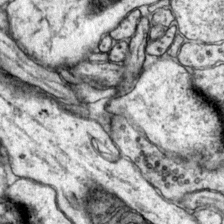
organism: Mouse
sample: Primary visual cortex